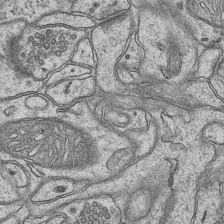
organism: Mouse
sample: CA1 Hippocampus